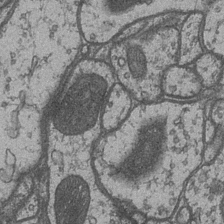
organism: Drosophila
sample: Optic medulla